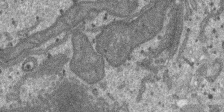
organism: Human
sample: Lung epithelial cells infected with SARS-CoV-2